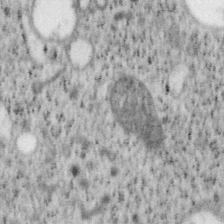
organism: Mouse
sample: OT-I killer T cells with ID8 ovarian cancer cells